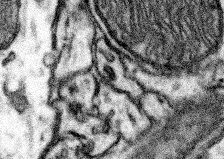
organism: Mouse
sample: Somatosensory cortex neuropil